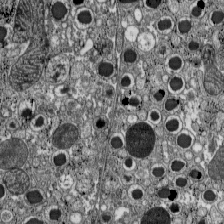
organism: C57BL Mouse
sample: Pancreatic islet